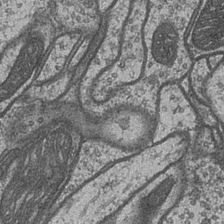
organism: Drosophila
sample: Optic medulla